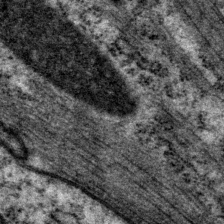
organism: P. pacificus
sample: Pharynx